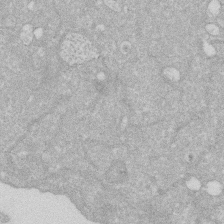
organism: Human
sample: HIV infected U937 cells